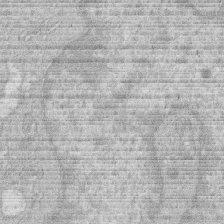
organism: Human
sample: Macrophage cells